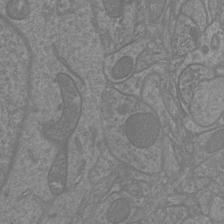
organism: Mouse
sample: Cortical neurons